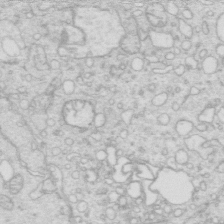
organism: Mouse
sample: Multiciliated cells